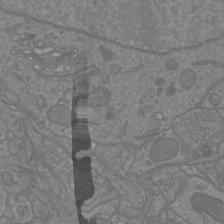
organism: Mouse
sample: Cortical neurons